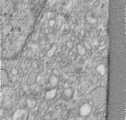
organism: Human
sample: Centriole in RPE cells